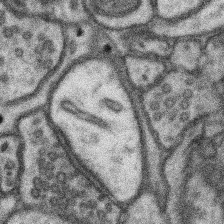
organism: Mouse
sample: Somatosensory cortex neuropil